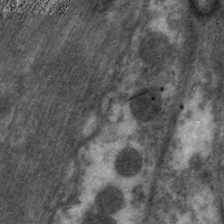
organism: C. elegans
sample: Pharynx